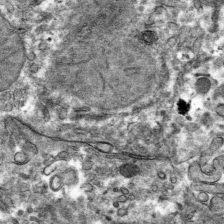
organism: Mouse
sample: Mouse hepatocytes